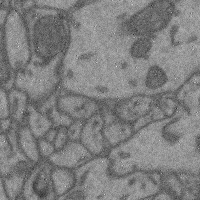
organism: Mouse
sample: Cerebral cortex